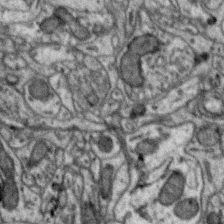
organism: Zebra finch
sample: Brain